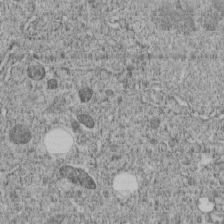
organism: C. elegans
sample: C. elegans embryo early stage